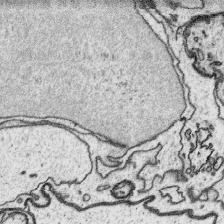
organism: Platynereis dumerilii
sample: Parapodia